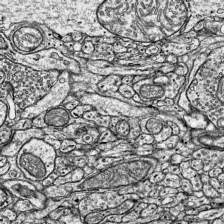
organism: Mouse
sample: Visual Cortex